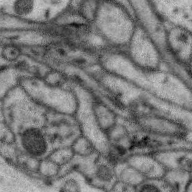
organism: Zebra finch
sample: Brain